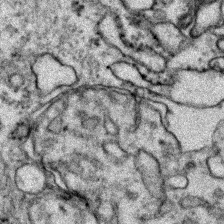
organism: Zebrafish